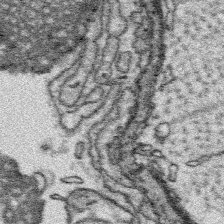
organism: Platynereis dumerilii